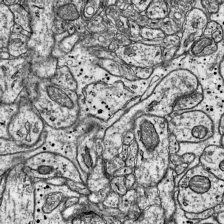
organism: Mouse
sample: Visual Cortex